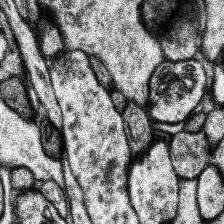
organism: Human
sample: Temporal Lobe